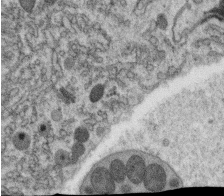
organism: C. elegans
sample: C. elegans oocyte; sperm cells